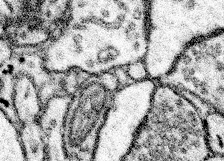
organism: Mouse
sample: Somatosensory cortex neuropil